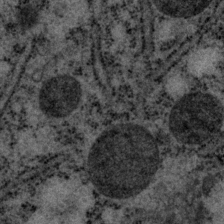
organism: P. pacificus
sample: Pharynx